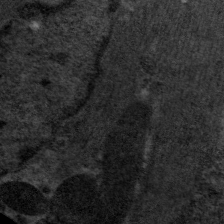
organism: C. elegans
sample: Pharynx